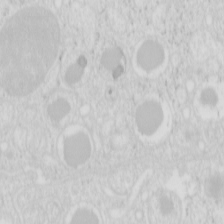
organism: Mouse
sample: Pancreas